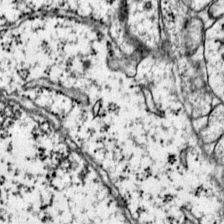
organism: Mouse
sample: Primary visual cortex